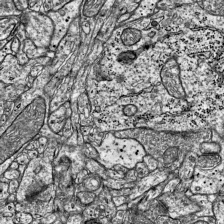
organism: Mouse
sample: Visual Cortex